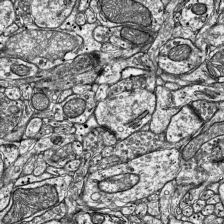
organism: Mouse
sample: Visual Cortex